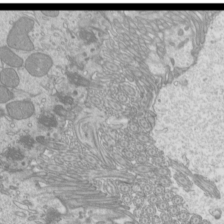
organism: Mouse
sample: Cilia; mouse epididymis